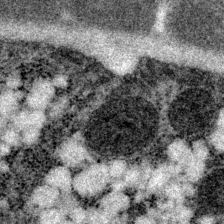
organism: P. pacificus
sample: Pharynx